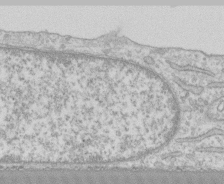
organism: Human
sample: CRL-1474